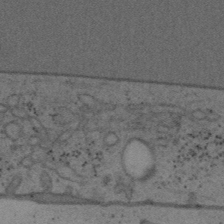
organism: Human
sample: HeLa cells